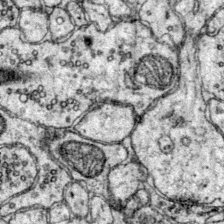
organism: Mouse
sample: Primary visual cortex